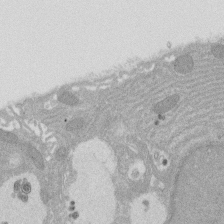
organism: Rat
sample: Salivary granule